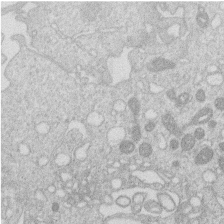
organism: Human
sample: Macrophage cells